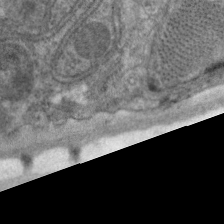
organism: C. elegans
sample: Pharynx